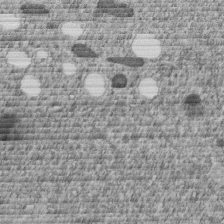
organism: C. elegans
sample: C. elegans embryo early stage